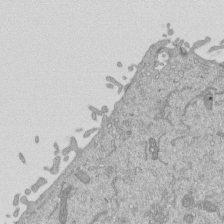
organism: Mouse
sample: ED-1 cell nuclei; centrioles